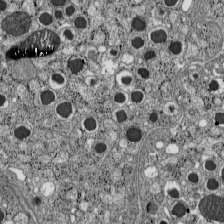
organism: C57BL Mouse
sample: Pancreatic islet